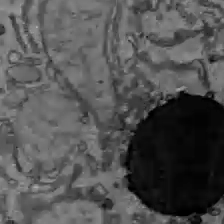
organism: C57BL Mouse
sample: Liver